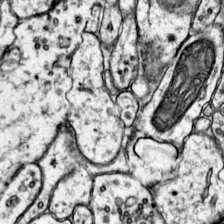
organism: Mouse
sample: Primary visual cortex